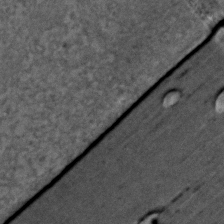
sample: Trachea